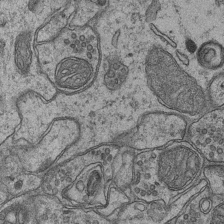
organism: Mouse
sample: CA1 Hippocampus